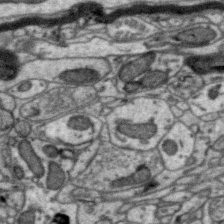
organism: Zebra finch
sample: Brain